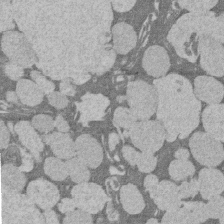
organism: Rat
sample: Salivary granule